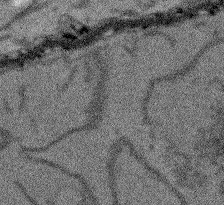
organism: Arabidopsis thaliana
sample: Root tip